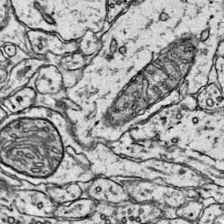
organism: Mouse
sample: Primary visual cortex